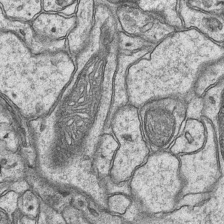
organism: Mouse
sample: CA1 Hippocampus